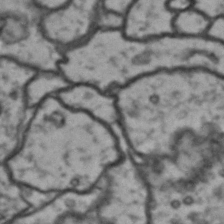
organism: Drosophila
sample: Brain